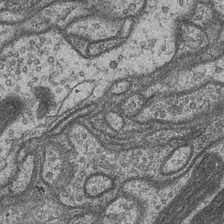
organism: Drosophila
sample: Optic medulla